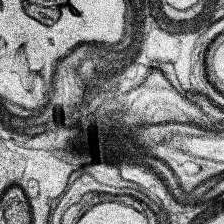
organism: Human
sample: Temporal Lobe